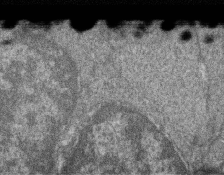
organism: Zebrafish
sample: Cilia; retinal pigment epithelium